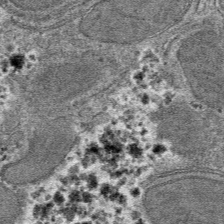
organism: Mouse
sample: Mouse hepatocytes